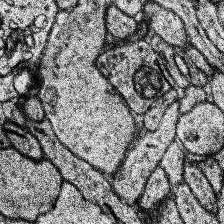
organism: Human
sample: Temporal Lobe